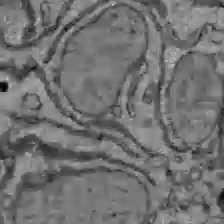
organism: C57BL Mouse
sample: Liver